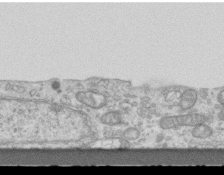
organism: Mouse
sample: Centriole in ependymal cells